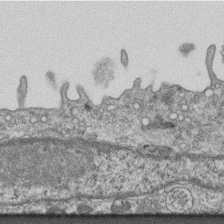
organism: Mouse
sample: Centriole in ependymal cells